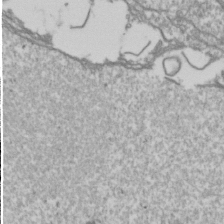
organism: Drosophila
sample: Cell division; meiosis; drosophila spermatocytes